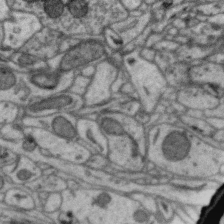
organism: Zebra finch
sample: Brain